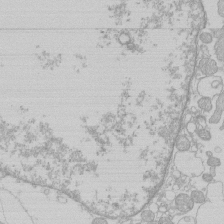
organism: Human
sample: Macrophage cells